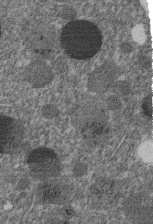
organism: C. elegans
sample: C. elegans embryo early stage